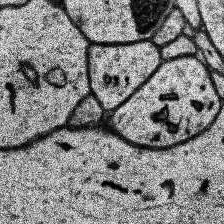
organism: Human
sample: Temporal Lobe